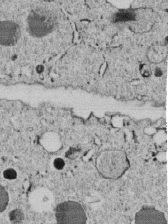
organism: C. elegans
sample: C. elegans embryo early stage